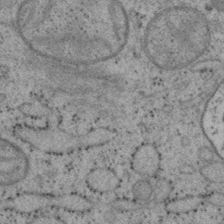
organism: Human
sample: HeLa cells